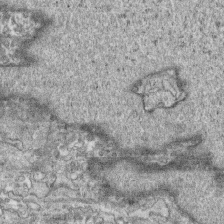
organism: Human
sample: CRL-1474